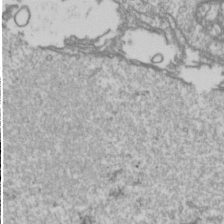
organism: Drosophila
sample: Cell division; meiosis; drosophila spermatocytes